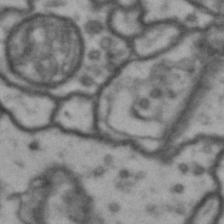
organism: Drosophila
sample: Brain